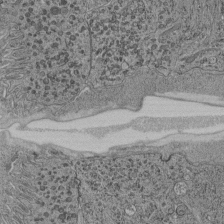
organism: C. elegans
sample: C. elegans pharynx